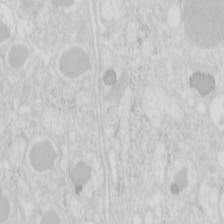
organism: Mouse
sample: Pancreas